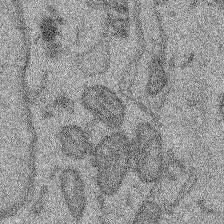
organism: Human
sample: HeLa cells